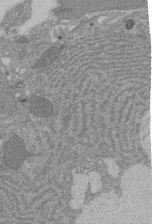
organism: Rat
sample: Salivary granule